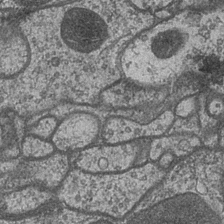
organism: Drosophila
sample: Optic medulla